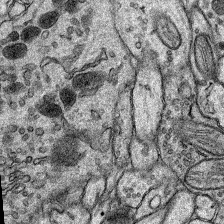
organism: Rat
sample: Hippocampus